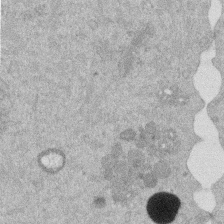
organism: Mouse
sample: Dividing mouse embryo 1 cell stage